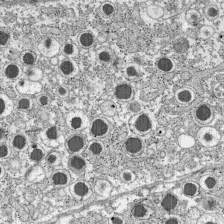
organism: C57BL Mouse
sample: Pancreatic islet